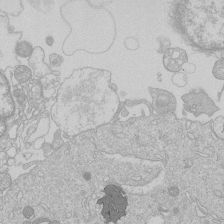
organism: Human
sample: Macrophage cells